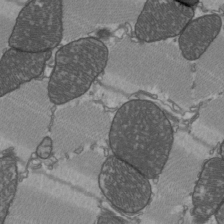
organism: C57BL Mouse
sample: Heart